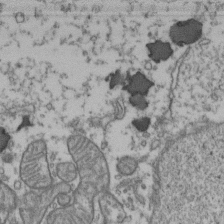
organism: Human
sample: Activated Jurkat CD4+ T cells